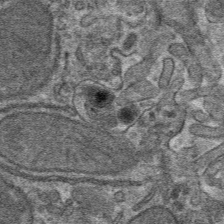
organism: Mouse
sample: Mouse hepatocytes